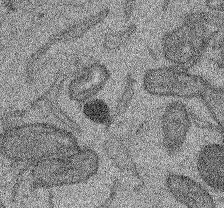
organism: Human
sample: HeLa cells